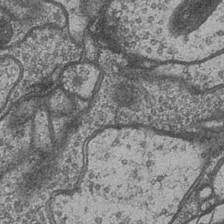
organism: Drosophila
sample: Optic medulla